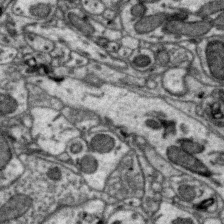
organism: Zebra finch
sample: Brain